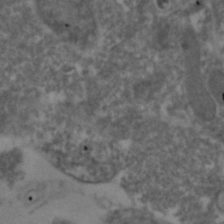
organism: Zebrafish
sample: Zebrafish embryo